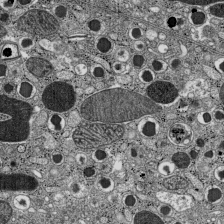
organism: C57BL Mouse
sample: Pancreatic islet